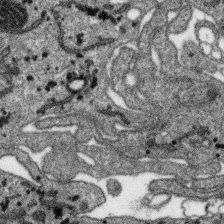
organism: Human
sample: Lung epithelial cells infected with SARS-CoV-2